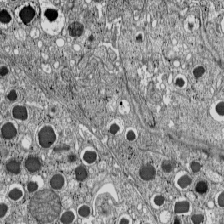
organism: C57BL Mouse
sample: Pancreatic islet